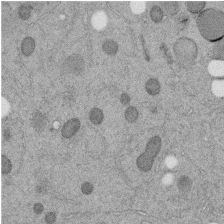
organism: C. elegans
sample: C. elegans embryo early stage